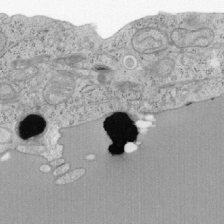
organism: Human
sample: HeLa cells